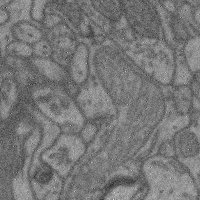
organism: Mouse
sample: Cerebral cortex